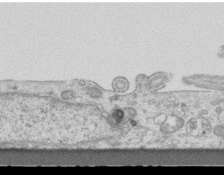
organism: Mouse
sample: Centriole in ependymal cells